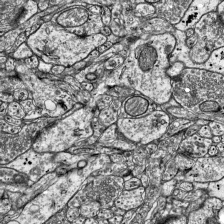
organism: Mouse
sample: Visual Cortex